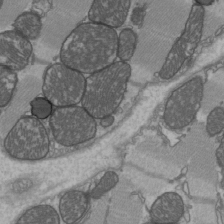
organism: C57BL Mouse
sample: Heart